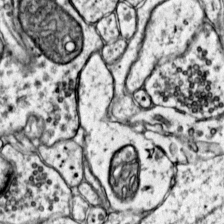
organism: Mouse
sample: Primary visual cortex